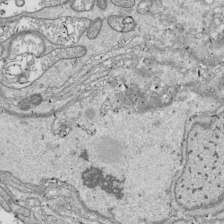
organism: Drosophila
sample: Cell division; meiosis; drosophila spermatocytes